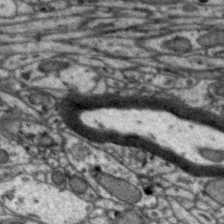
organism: Zebra finch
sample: Brain